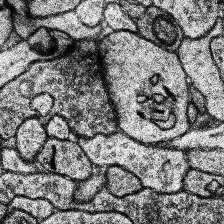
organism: Human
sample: Temporal Lobe